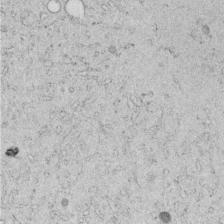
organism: C. elegans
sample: C. elegans embryo early stage